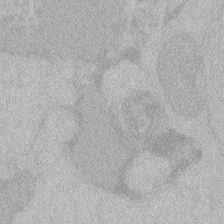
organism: Zebrafish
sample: Macrophage infected with Toxoplasma gondii